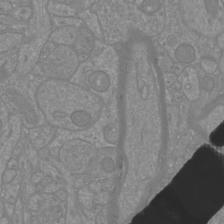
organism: Mouse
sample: Cortical neurons